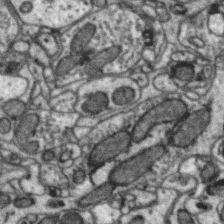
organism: Zebra finch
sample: Brain